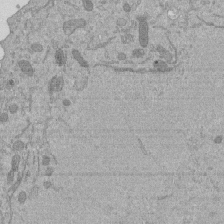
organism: Mouse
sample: ED-1 cell nuclei; centrioles